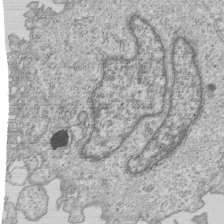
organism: Human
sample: MDA-MB-231 cells